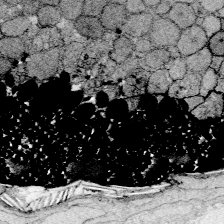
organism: Zebrafish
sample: Whole-Brain